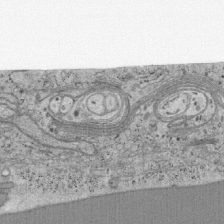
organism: Human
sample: HeLa cells